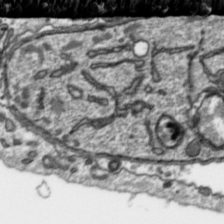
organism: Toxoplasma gondii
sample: Parasites in a vacuole inside a host cell